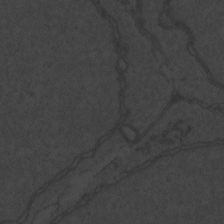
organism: Zebrafish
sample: Macrophage infected with Toxoplasma gondii